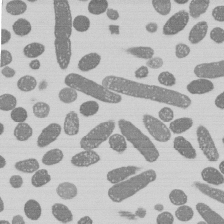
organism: E. coli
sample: Bacterial nucleoid